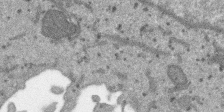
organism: Human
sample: Lung epithelial cells infected with SARS-CoV-2